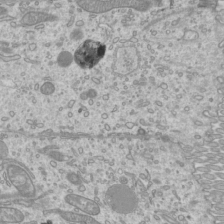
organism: Mouse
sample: Cilia; mouse epididymis